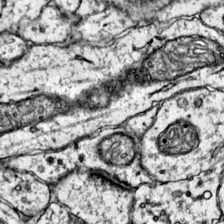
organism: Mouse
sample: Primary visual cortex